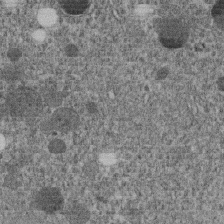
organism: C. elegans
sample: C. elegans embryo early stage